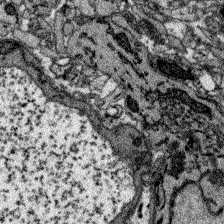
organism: Zebrafish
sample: Larval olfactory bulb